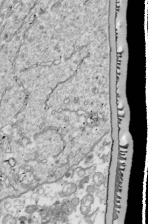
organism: Drosophila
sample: Cell division; meiosis; drosophila spermatocytes